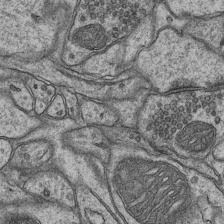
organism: Mouse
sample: CA1 Hippocampus